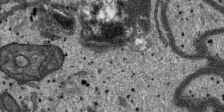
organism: Human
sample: Lung epithelial cells, uninfected (mock) control